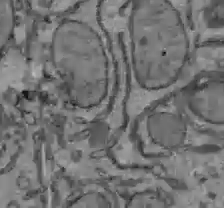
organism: C57BL Mouse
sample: Liver